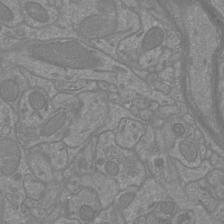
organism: Mouse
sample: Cortical neurons